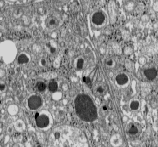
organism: C57BL Mouse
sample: Pancreatic islet